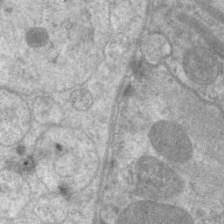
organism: C. elegans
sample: Pharynx